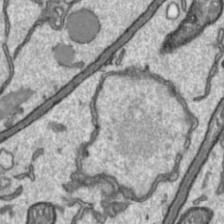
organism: Toxoplasma gondii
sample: Parasites in a vacuole inside a host cell